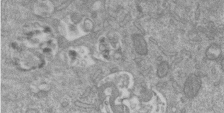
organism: Mouse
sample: ED-1 cell nuclei; centrioles